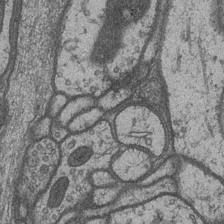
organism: Drosophila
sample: Optic medulla